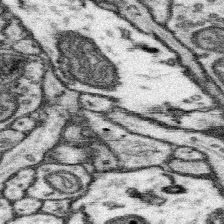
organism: Mouse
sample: Somatosensory cortex neuropil